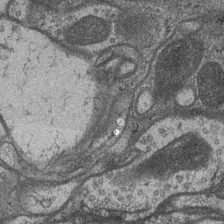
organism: Drosophila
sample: Optic medulla